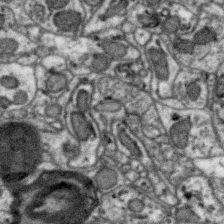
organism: Zebra finch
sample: Brain